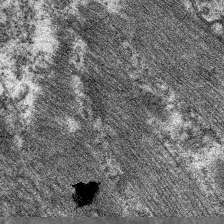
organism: C. elegans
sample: Pharynx